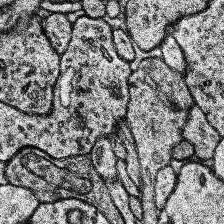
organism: Human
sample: Temporal Lobe